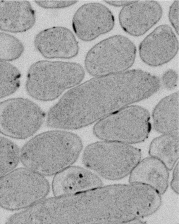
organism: E. coli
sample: Bacterial nucleoid